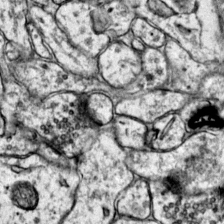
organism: Mouse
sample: Primary visual cortex